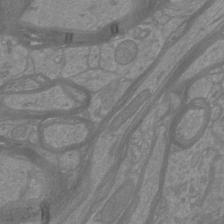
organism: Mouse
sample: Cortical neurons